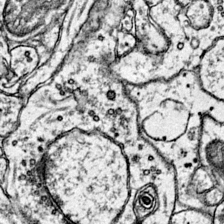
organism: Mouse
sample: Primary visual cortex